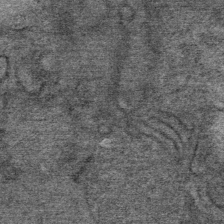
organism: Mouse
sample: Mouse Salivary gland